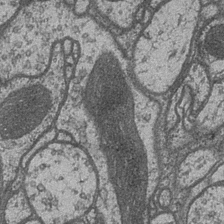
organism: Drosophila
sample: Optic medulla